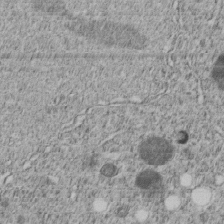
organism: C. elegans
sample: C. elegans embryo early stage